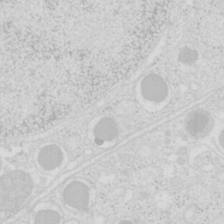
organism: Mouse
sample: Pancreas